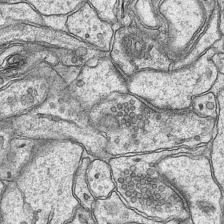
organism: Mouse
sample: CA1 Hippocampus